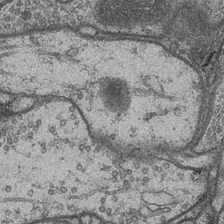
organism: Drosophila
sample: Optic medulla